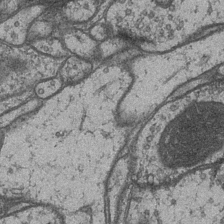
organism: Drosophila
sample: Optic medulla